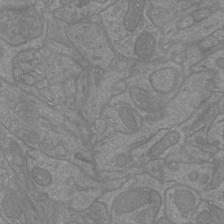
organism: Mouse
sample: Cortical neurons